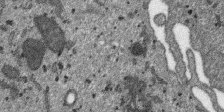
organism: Human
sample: Lung epithelial cells infected with SARS-CoV-2